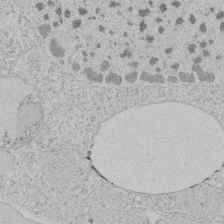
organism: Tetrahymena